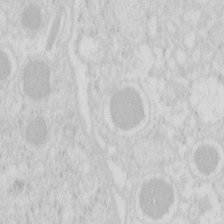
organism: Mouse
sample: Pancreas